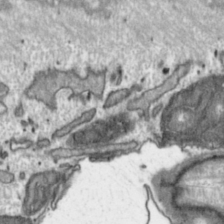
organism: Toxoplasma gondii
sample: Parasites in a vacuole inside a host cell